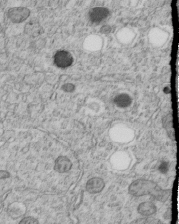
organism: C. elegans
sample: C. elegans embryo early stage